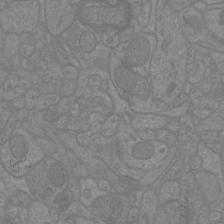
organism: Mouse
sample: Cortical neurons